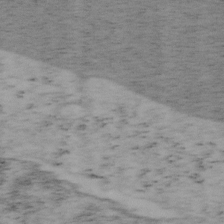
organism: Mouse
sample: OT-I killer T cells with ID8 ovarian cancer cells